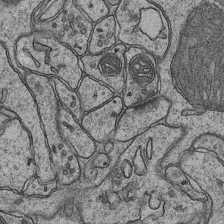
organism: Mouse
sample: CA1 Hippocampus